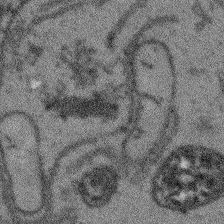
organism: Arabidopsis thaliana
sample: Root tip